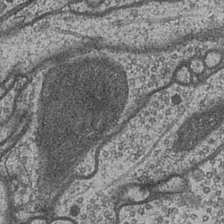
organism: Drosophila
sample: Optic medulla